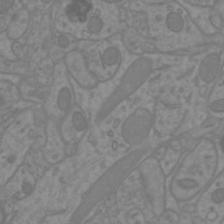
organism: Mouse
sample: Cortical neurons